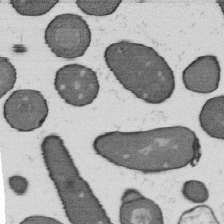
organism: B. subtilis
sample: Bacterial spore